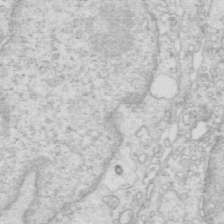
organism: Mouse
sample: Multiciliated cells